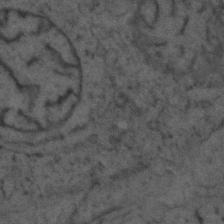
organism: Zebrafish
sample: Zebrafish embryo